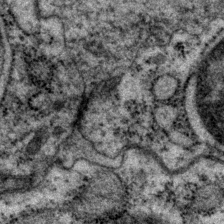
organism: P. pacificus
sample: Pharynx